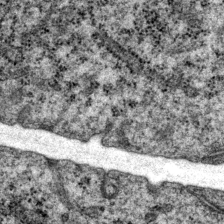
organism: P. pacificus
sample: Pharynx